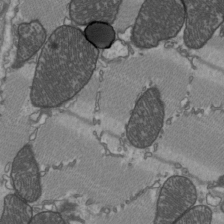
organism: C57BL Mouse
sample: Heart